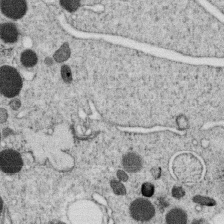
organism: C. elegans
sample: C. elegans oocyte; sperm cells